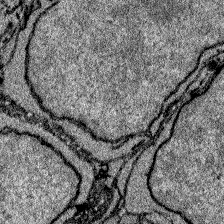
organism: Zebrafish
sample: Larval olfactory bulb